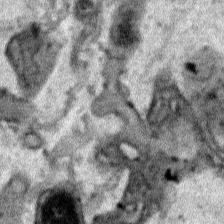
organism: Human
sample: Mitochondria in HCT116 cells